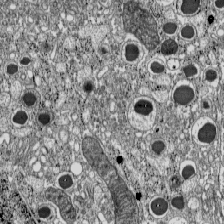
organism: C57BL Mouse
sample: Pancreatic islet